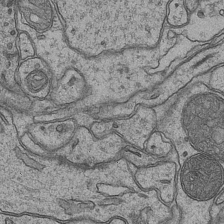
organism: Mouse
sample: CA1 Hippocampus